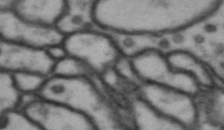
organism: Drosophila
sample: Brain